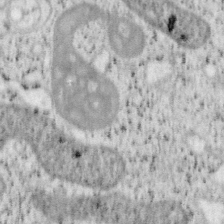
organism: Mouse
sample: OT-I killer T cells with ID8 ovarian cancer cells